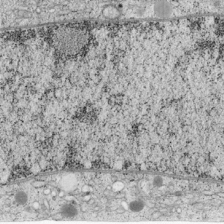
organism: African green monkey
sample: COS-7 cells